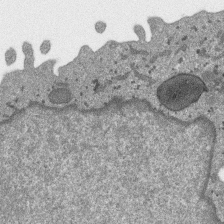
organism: Human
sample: Lung epithelial cells infected with SARS-CoV-2